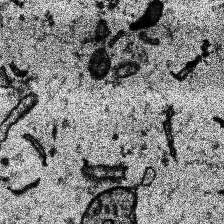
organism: Human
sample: Temporal Lobe